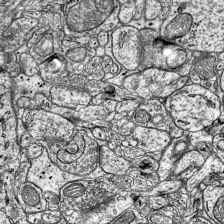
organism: Mouse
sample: Visual Cortex